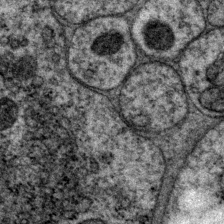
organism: P. pacificus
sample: Pharynx